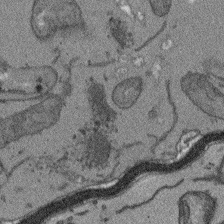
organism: Arabidopsis thaliana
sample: Root tip